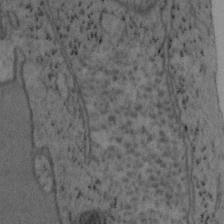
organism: Human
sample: HeLa cells